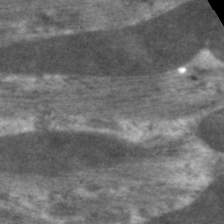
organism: C. elegans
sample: Pharynx